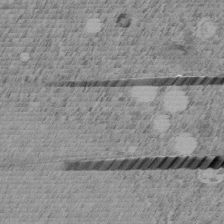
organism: C. elegans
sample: C. elegans embryo early stage